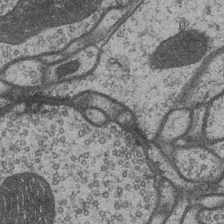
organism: Drosophila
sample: Optic medulla